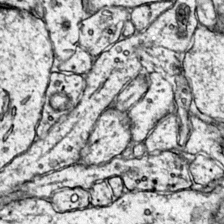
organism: Mouse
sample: Primary visual cortex